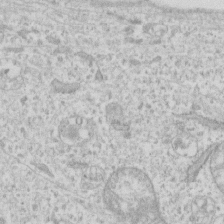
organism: Human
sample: Fibroblast cells